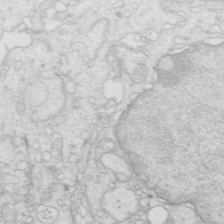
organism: Mouse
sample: Multiciliated cells